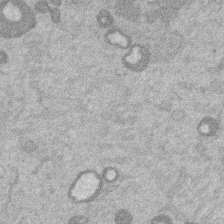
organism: Mouse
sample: Dividing mouse embryo 1 cell stage